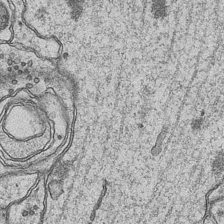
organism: Mouse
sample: CA1 Hippocampus